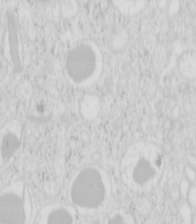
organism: Mouse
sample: Pancreas